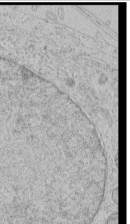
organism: Human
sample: Mitochondria in HCT116 cells